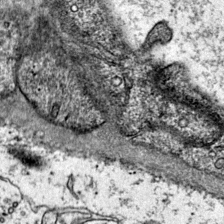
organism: Mouse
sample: Primary visual cortex